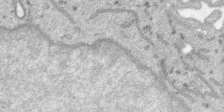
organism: Human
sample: Lung epithelial cells infected with SARS-CoV-2